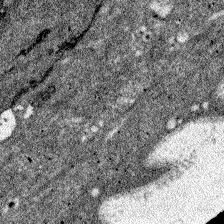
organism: Zebrafish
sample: Larval olfactory bulb